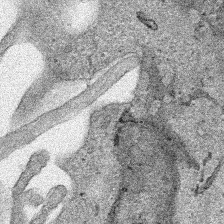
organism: Human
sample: Mitochondria in HCT116 cells